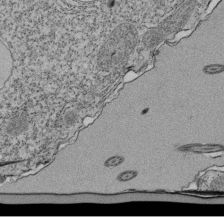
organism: Tetrahymena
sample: Cilia in tetrahymena